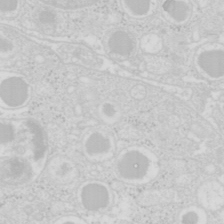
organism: Mouse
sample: Pancreas